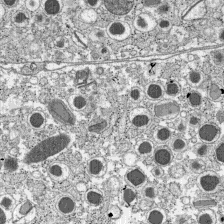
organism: C57BL Mouse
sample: Pancreatic islet